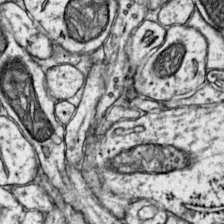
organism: Mouse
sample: Primary visual cortex